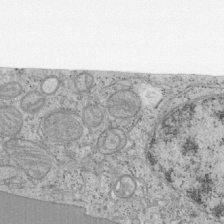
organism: Human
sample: HeLa cells